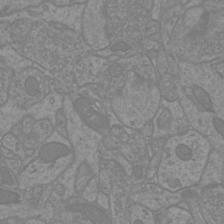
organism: Mouse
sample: Cortical neurons